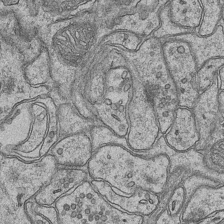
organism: Mouse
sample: CA1 Hippocampus